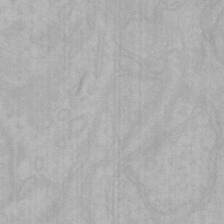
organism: Mouse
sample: Choroid plexus